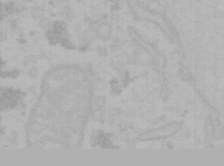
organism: Mouse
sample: Choroid plexus